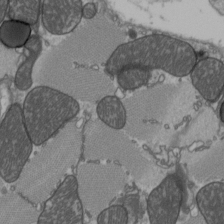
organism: C57BL Mouse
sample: Heart